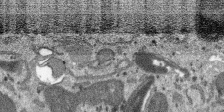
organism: Human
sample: Lung epithelial cells infected with SARS-CoV-2